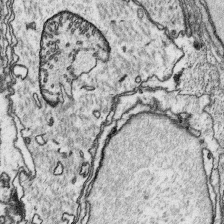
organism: Platynereis dumerilii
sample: Parapodia